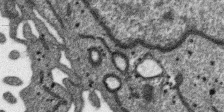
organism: Human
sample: Lung epithelial cells infected with SARS-CoV-2